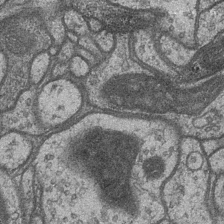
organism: Drosophila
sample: Optic medulla